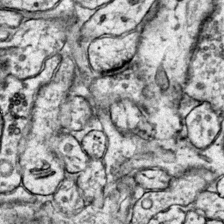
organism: Mouse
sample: Primary visual cortex